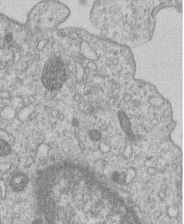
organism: Human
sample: Macrophage cells